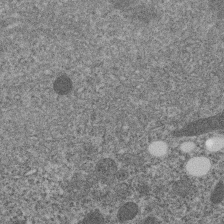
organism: C. elegans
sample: C. elegans embryo early stage